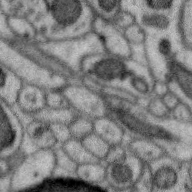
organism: Zebra finch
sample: Brain